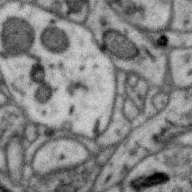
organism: Zebra finch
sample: Brain